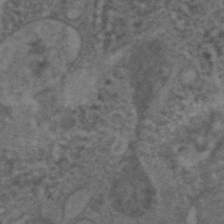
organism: C. elegans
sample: C. elegans embryo